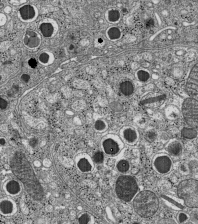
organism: C57BL Mouse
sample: Pancreatic islet